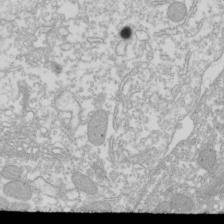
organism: Xenopus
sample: Cilia; centrioles in frog embryo cells